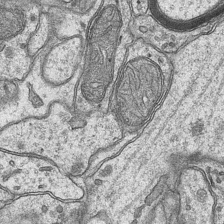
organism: Mouse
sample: CA1 Hippocampus